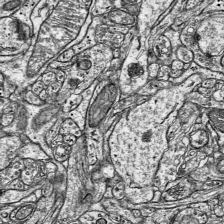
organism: Mouse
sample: Visual Cortex